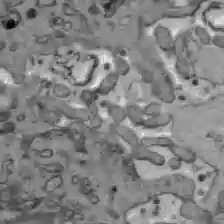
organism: C57BL Mouse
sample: Liver